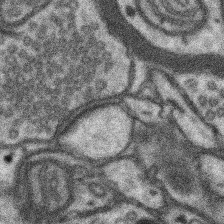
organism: Mouse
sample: Somatosensory cortex neuropil